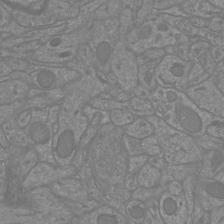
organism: Mouse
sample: Cortical neurons